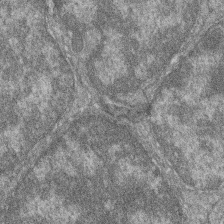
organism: Zebrafish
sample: Cilia; retinal pigment epithelium